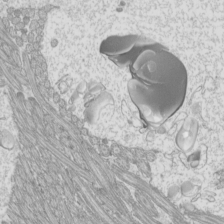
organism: Mouse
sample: Cilia; mouse epididymis